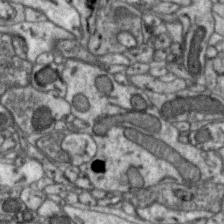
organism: Zebra finch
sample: Brain